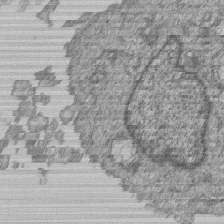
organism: Human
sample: MDA-MB-231 cells